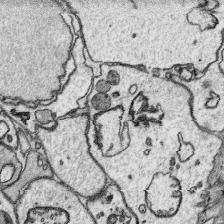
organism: Platynereis dumerilii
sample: Parapodia